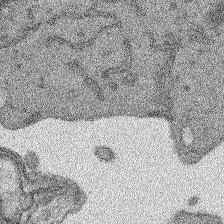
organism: Human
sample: HeLa cells